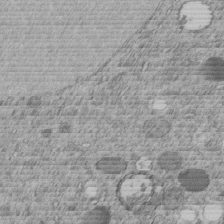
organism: C. elegans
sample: C. elegans embryo early stage